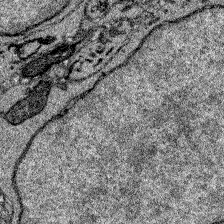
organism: Zebrafish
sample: Larval olfactory bulb